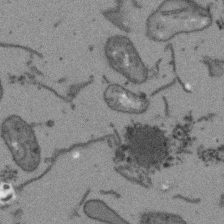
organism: Arabidopsis thaliana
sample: Root tip